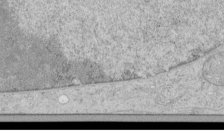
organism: Human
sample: Mitochondria in HCT116 cells